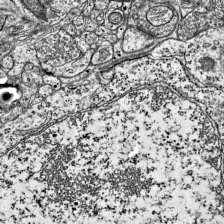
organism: Mouse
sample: Visual Cortex